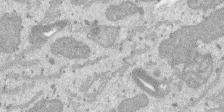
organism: Human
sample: Lung epithelial cells infected with SARS-CoV-2